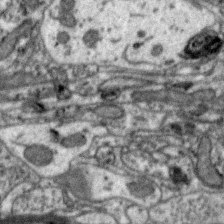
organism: Zebra finch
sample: Brain